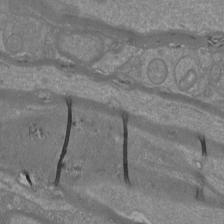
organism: Mouse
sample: Cortical neurons